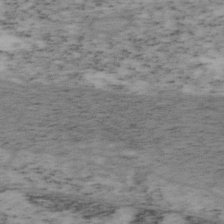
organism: Mouse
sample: OT-I killer T cells with ID8 ovarian cancer cells